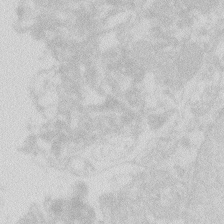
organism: Zebrafish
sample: Macrophage